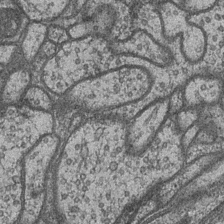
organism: Drosophila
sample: Optic medulla